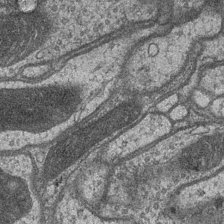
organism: Drosophila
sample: Optic medulla